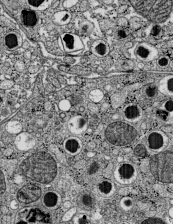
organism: C57BL Mouse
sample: Pancreatic islet